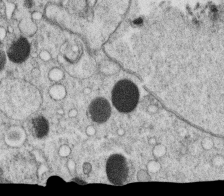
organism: C. elegans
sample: C. elegans oocyte; sperm cells